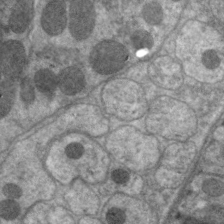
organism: C. elegans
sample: Pharynx